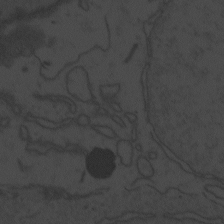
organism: Zebrafish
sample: Macrophage infected with Toxoplasma gondii